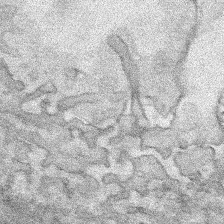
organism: Human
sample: Mitochondria in HCT116 cells